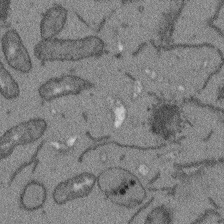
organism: Arabidopsis thaliana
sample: Root tip